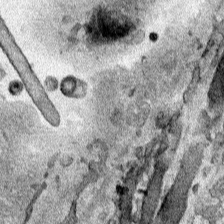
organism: Human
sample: Mitochondria in HCT116 cells